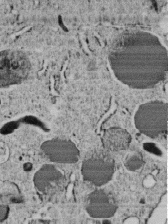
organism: C. elegans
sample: C. elegans embryo early stage